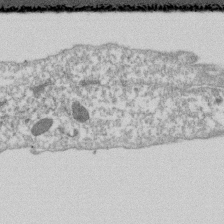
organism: Dictyostelium discoideum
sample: Dictyostelium multivesicular bodies